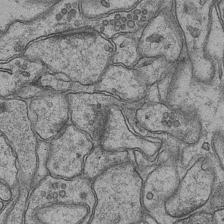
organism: Mouse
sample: CA1 Hippocampus